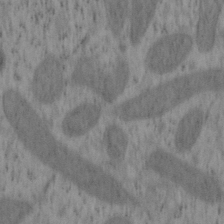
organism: Mouse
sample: OT-I killer T cells with ID8 ovarian cancer cells